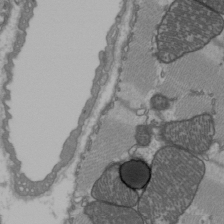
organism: C57BL Mouse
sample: Heart